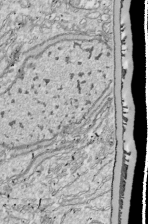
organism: Drosophila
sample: Cell division; meiosis; drosophila spermatocytes